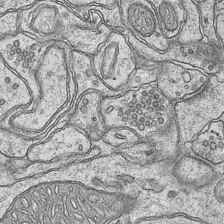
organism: Mouse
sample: CA1 Hippocampus